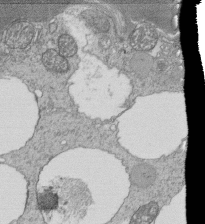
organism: Tetrahymena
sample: Cilia in tetrahymena